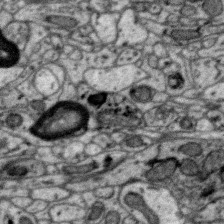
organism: Zebra finch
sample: Brain